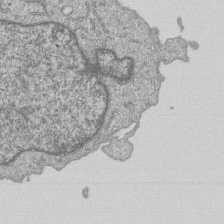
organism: Human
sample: MDA-MB-231 cells